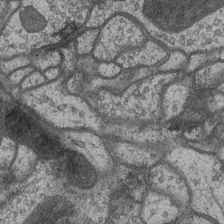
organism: Drosophila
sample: Optic medulla